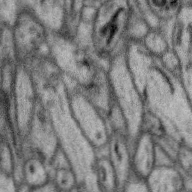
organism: Zebra finch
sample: Brain